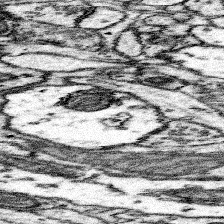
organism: Mouse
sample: Somatosensory cortex neuropil